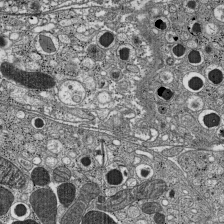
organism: C57BL Mouse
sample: Pancreatic islet